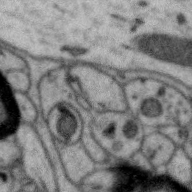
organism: Zebra finch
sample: Brain